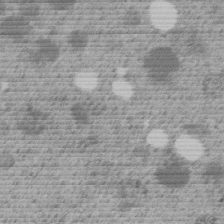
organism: C. elegans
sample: C. elegans embryo early stage